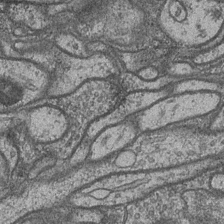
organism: Drosophila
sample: Optic medulla